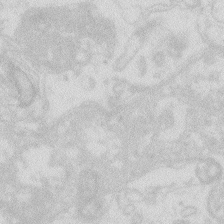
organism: Zebrafish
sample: Macrophage